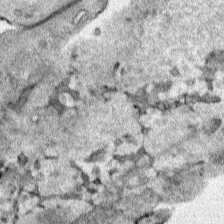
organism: Human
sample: Mitochondria in HCT116 cells